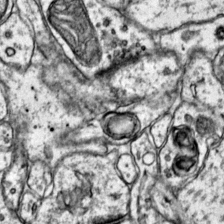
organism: Mouse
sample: Primary visual cortex